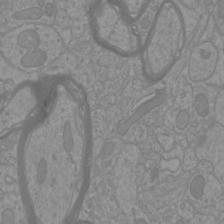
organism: Mouse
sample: Cortical neurons